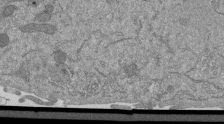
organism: Mouse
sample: ED-1 cell nuclei; centrioles